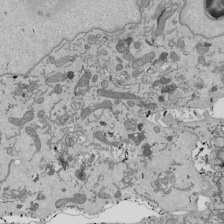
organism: Mouse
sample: ED-1 cell nuclei; centrioles